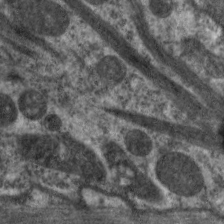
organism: C. elegans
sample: Pharynx